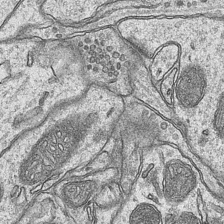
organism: Mouse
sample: CA1 Hippocampus